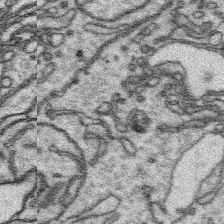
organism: Platynereis dumerilii